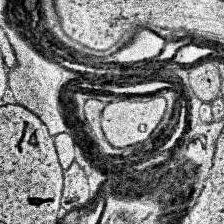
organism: Human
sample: Temporal Lobe